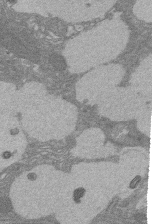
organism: Rat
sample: Salivary granule